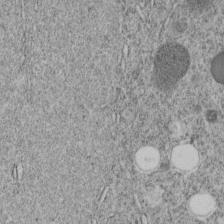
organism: C. elegans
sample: C. elegans embryo early stage